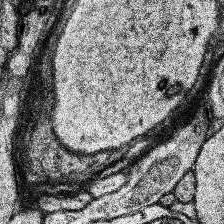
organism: Human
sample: Temporal Lobe